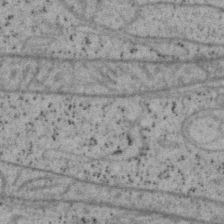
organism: Human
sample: HeLa cells